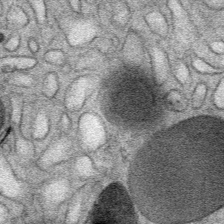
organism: Mouse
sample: Mouse Salivary gland